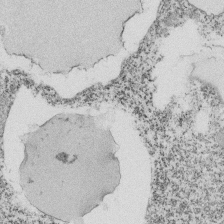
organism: Tetrahymena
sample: Cilia in tetrahymena